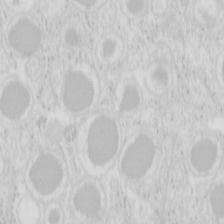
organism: Mouse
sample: Pancreas